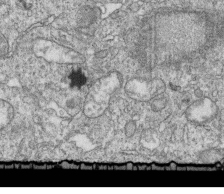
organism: Human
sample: HeLa cell HIV synapse